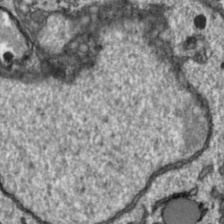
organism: Toxoplasma gondii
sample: Parasites in a vacuole inside a host cell